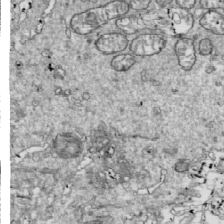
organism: Drosophila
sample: Cell division; meiosis; drosophila spermatocytes